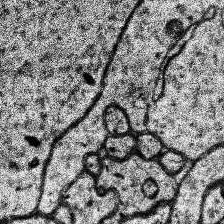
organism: Human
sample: Temporal Lobe